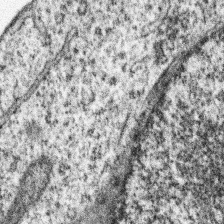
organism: Human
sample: HeLa cells